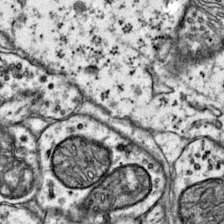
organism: Mouse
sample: Primary visual cortex